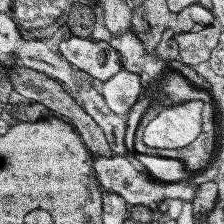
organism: Human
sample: Temporal Lobe